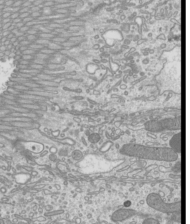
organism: Mouse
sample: Cilia; mouse epididymis